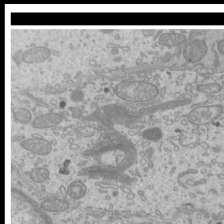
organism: Mouse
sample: Cilia; mouse epididymis